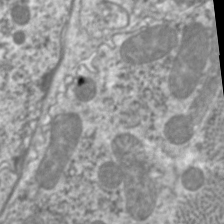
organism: C. elegans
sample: Pharynx